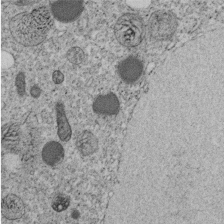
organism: C. elegans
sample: C. elegans embryo early stage